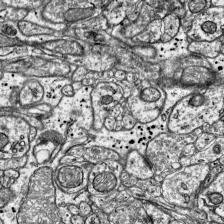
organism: Mouse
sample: Visual Cortex